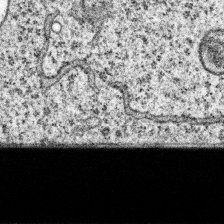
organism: Human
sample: HeLa cells